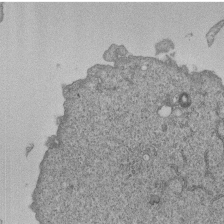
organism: Human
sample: MDA-MB-231 cells